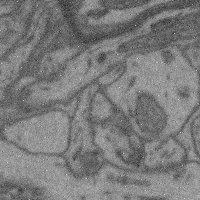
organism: Mouse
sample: Cerebral cortex